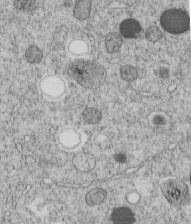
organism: C. elegans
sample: C. elegans embryo early stage